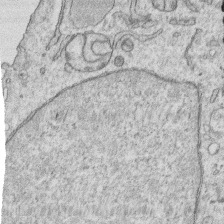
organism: Human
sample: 1205lu cells